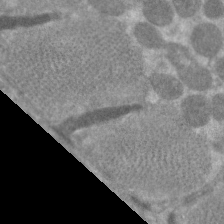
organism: C. elegans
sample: Pharynx